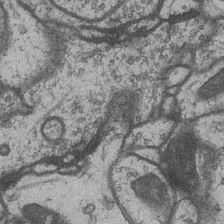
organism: Drosophila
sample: Optic medulla